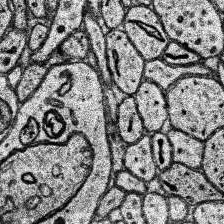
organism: Human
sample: Temporal Lobe